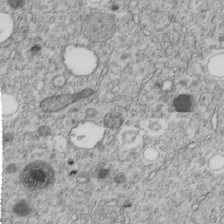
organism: C. elegans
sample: C. elegans embryo early stage